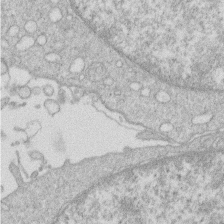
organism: Human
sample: Macrophage cells